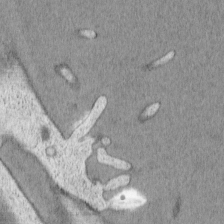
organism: African green monkey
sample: COS-7 cells